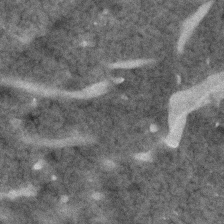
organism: Human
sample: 1205lu cells